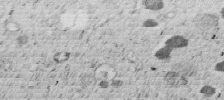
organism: C. elegans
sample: C. elegans embryo early stage